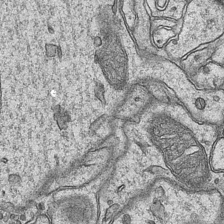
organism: Mouse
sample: CA1 Hippocampus